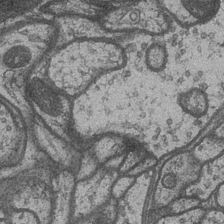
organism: Drosophila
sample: Optic medulla